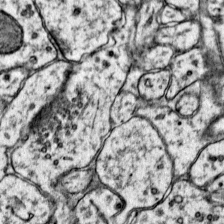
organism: Mouse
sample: Primary visual cortex